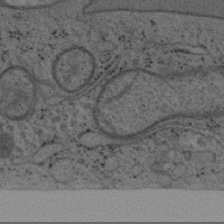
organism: Human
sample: HeLa cells